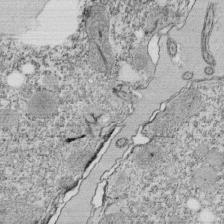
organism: Tetrahymena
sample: Cilia in tetrahymena